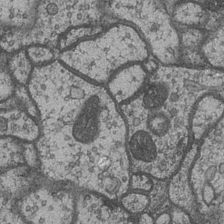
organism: Drosophila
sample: Optic medulla